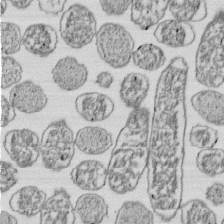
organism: E. coli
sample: Bacterial nucleoid